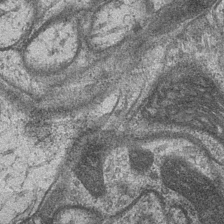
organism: Drosophila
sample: Optic medulla